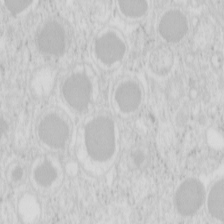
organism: Mouse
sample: Pancreas